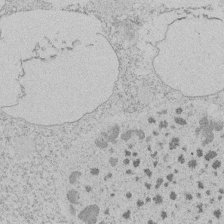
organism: Tetrahymena